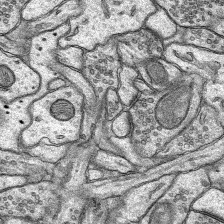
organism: Rat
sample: Hippocampus